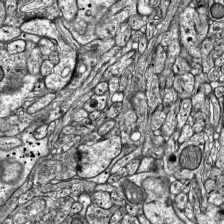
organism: Mouse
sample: Visual Cortex